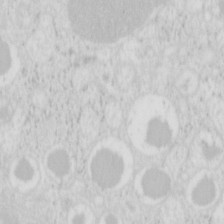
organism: Mouse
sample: Pancreas